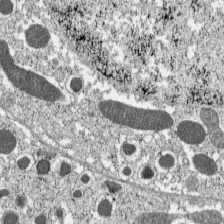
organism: C57BL Mouse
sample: Pancreatic islet